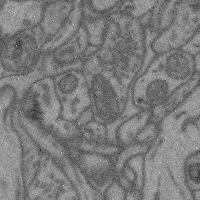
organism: Mouse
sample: Cerebral cortex